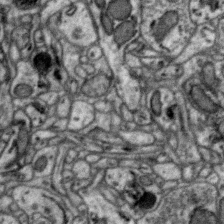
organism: Zebra finch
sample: Brain